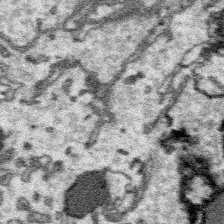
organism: Platynereis dumerilii